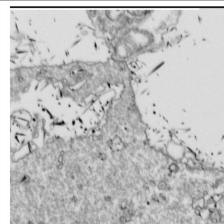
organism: Drosophila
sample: Cell division; meiosis; drosophila spermatocytes